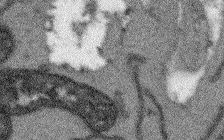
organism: Arabidopsis thaliana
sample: Root tip